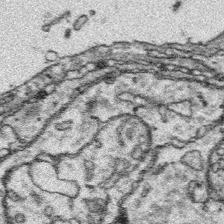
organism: Platynereis dumerilii